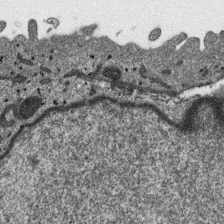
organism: Human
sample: Lung epithelial cells infected with SARS-CoV-2